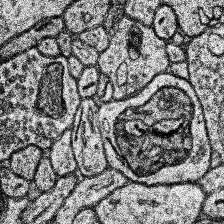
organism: Human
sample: Temporal Lobe